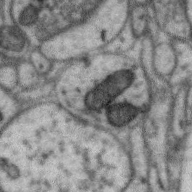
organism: Zebra finch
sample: Brain